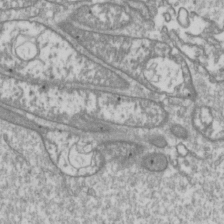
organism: Drosophila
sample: Cell division; meiosis; drosophila spermatocytes